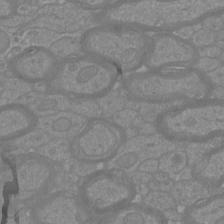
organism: Mouse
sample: Cortical neurons